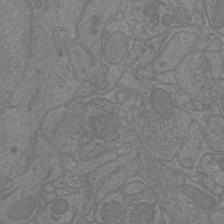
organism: Mouse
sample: Cortical neurons